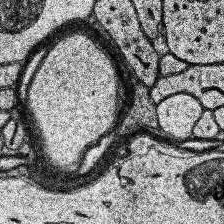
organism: Human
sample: Temporal Lobe